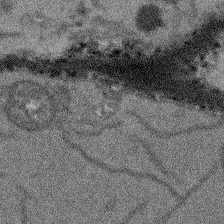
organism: Arabidopsis thaliana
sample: Root tip